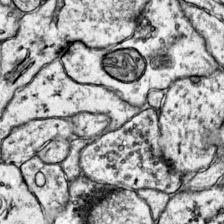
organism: Mouse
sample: Primary visual cortex